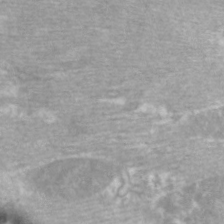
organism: C. elegans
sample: Pharynx